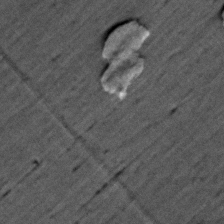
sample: Trachea